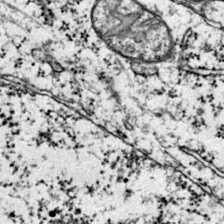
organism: Mouse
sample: Primary visual cortex